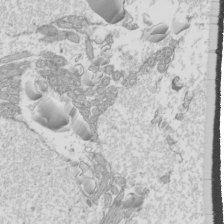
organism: Mouse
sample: Cilia; mouse epididymis